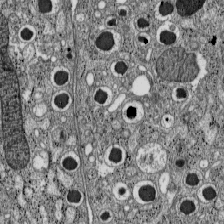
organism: C57BL Mouse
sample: Pancreatic islet